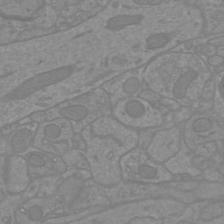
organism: Mouse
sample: Cortical neurons